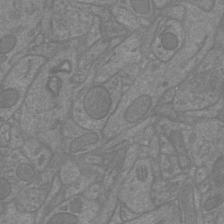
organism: Mouse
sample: Cortical neurons